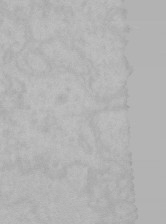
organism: Mouse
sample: Choroid plexus